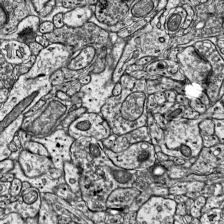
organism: Mouse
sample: Visual Cortex